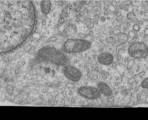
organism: Human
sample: Centriole in RPE cells